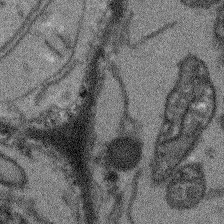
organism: Arabidopsis thaliana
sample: Root tip